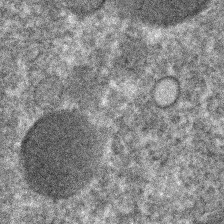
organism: C. elegans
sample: C. elegans embryo